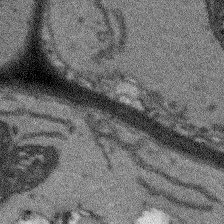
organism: Arabidopsis thaliana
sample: Root tip